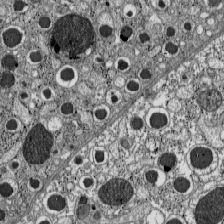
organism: C57BL Mouse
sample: Pancreatic islet